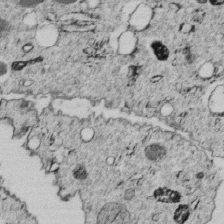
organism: C. elegans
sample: C. elegans embryo early stage